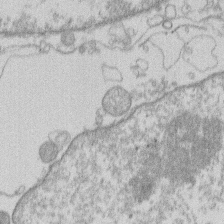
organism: Human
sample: Macrophage cells